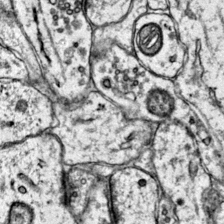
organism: Mouse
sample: Primary visual cortex